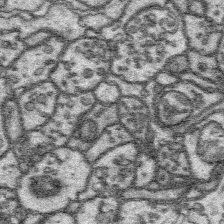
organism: Platynereis dumerilii